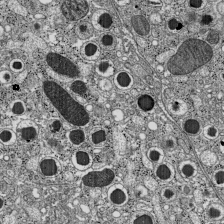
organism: C57BL Mouse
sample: Pancreatic islet